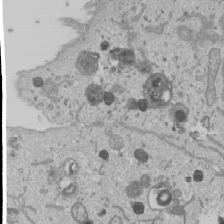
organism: Human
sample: Mitochondria in U2OS cells